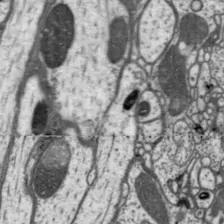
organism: Drosophila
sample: Protocerebral bridge